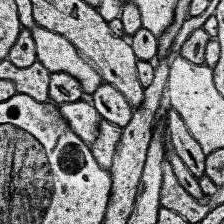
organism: Human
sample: Temporal Lobe